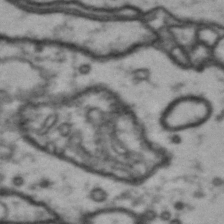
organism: Drosophila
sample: Brain